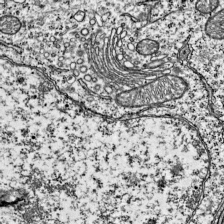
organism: Mouse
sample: Visual Cortex